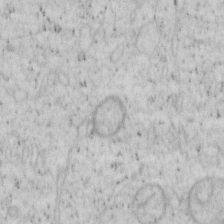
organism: Human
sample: HeLa cells